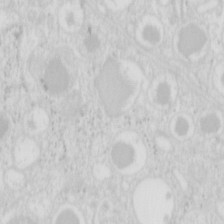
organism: Mouse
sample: Pancreas